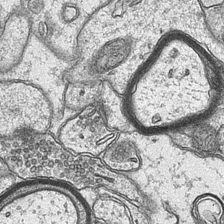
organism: Mouse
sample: CA1 Hippocampus